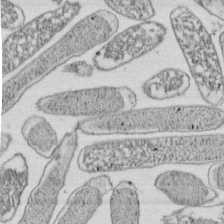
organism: E. coli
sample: Bacterial nucleoid